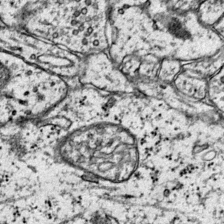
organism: Mouse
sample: Primary visual cortex